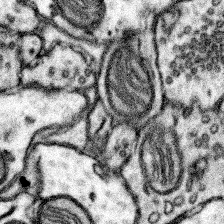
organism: Mouse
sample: Somatosensory cortex neuropil